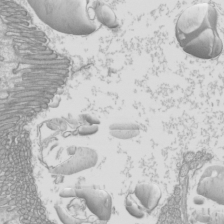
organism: Mouse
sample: Cilia; mouse epididymis